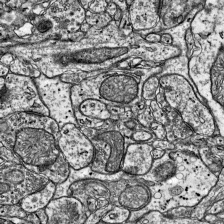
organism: Mouse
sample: Visual Cortex